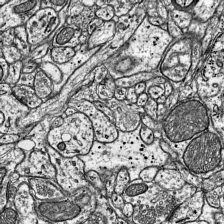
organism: Mouse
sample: Visual Cortex